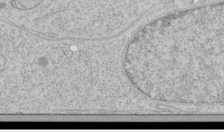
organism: Human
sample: Mitochondria in HCT116 cells